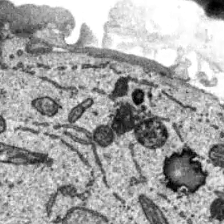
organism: Human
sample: HeLa cells